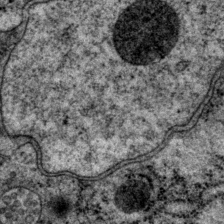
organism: P. pacificus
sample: Pharynx